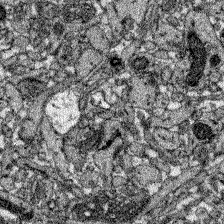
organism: Zebrafish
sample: Larval olfactory bulb